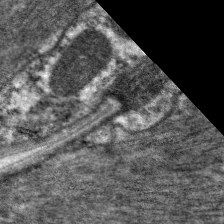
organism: C. elegans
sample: Pharynx